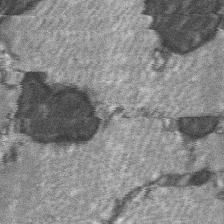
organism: C57BL Mouse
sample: Soleus